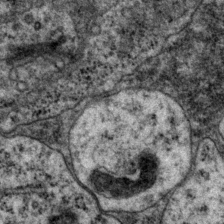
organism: P. pacificus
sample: Pharynx